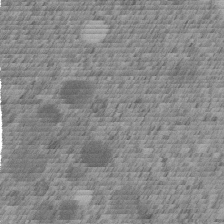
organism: C. elegans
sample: C. elegans embryo early stage